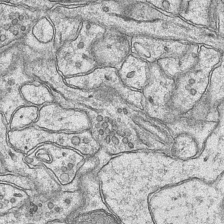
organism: Mouse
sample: CA1 Hippocampus